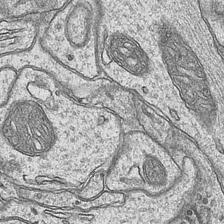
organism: Mouse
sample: CA1 Hippocampus